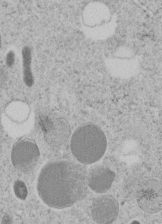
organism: C. elegans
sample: C. elegans embryo early stage